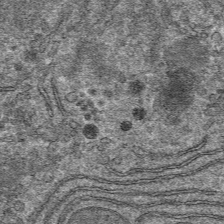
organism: Mouse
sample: Mouse hepatocytes